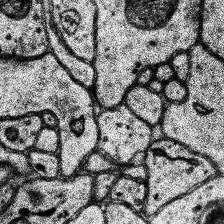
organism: Human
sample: Temporal Lobe